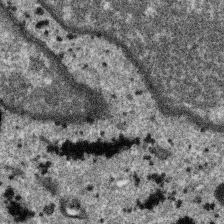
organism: Human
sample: Lung epithelial cells infected with SARS-CoV-2